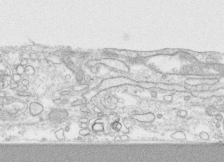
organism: Human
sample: CRL-1474